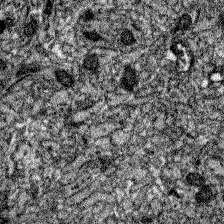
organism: Zebrafish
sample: Larval olfactory bulb